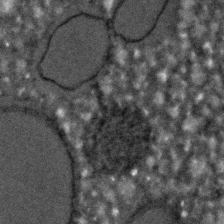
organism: C. elegans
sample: C. elegans embryo